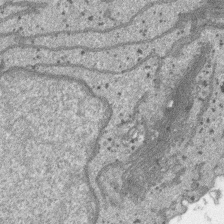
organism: Human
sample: Lung epithelial cells infected with SARS-CoV-2